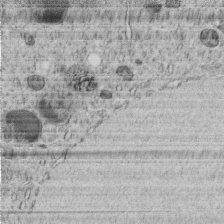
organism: C. elegans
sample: C. elegans embryo early stage